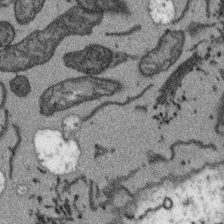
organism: Arabidopsis thaliana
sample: Root tip